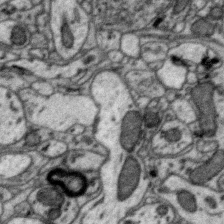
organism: Zebra finch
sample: Brain